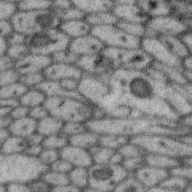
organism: Zebra finch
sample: Brain